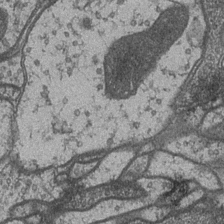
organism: Drosophila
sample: Optic medulla